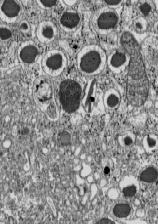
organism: C57BL Mouse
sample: Pancreatic islet